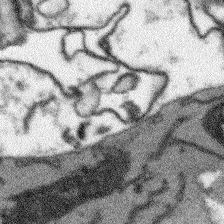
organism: Arabidopsis thaliana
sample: Root tip